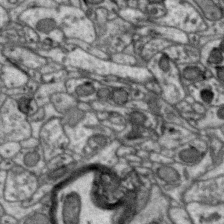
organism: Zebra finch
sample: Brain